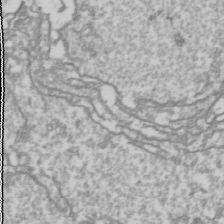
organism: Drosophila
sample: Cell division; meiosis; drosophila spermatocytes